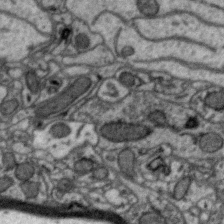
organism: Zebra finch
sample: Brain